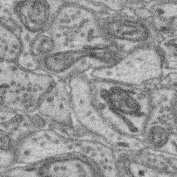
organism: Mouse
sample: Retina